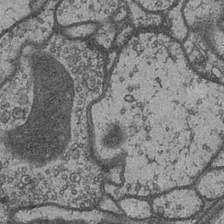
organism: Drosophila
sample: Optic medulla